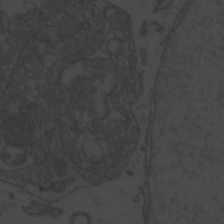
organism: Zebrafish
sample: Macrophage infected with Toxoplasma gondii